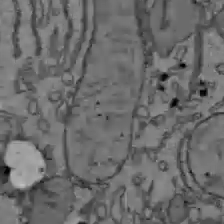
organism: C57BL Mouse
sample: Liver